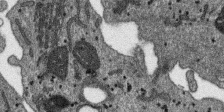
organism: Human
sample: Lung epithelial cells infected with SARS-CoV-2